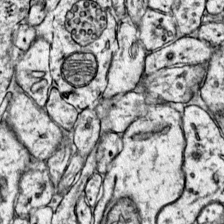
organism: Mouse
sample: Primary visual cortex